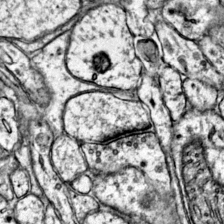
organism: Mouse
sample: Primary visual cortex